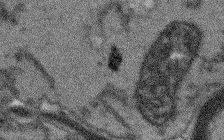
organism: Arabidopsis thaliana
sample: Root tip